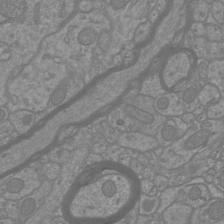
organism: Mouse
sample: Cortical neurons